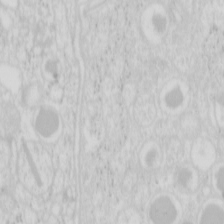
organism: Mouse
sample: Pancreas